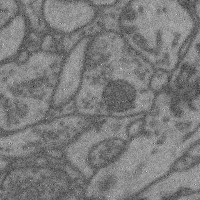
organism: Mouse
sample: Cerebral cortex